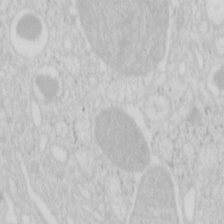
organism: Mouse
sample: Pancreas